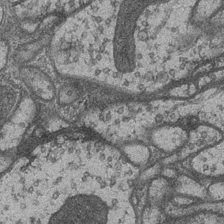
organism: Drosophila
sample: Optic medulla